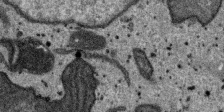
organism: Human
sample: Lung epithelial cells, uninfected (mock) control